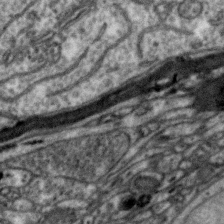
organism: Zebra finch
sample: Brain